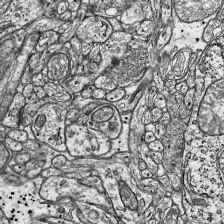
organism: Mouse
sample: Visual Cortex